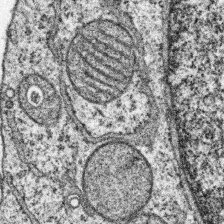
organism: Human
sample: HeLa cells